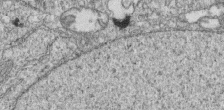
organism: Human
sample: HeLa cell HIV synapse